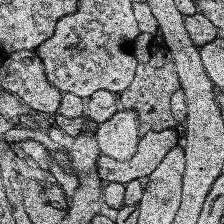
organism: Human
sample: Temporal Lobe